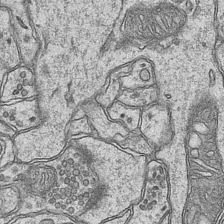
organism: Mouse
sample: CA1 Hippocampus